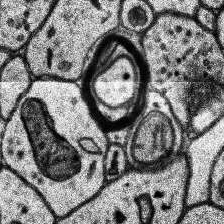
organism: Human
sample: Temporal Lobe